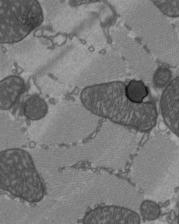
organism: C57BL Mouse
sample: Heart